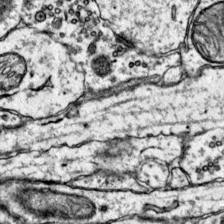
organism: Mouse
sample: Primary visual cortex